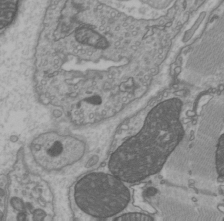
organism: C57BL Mouse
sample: Heart